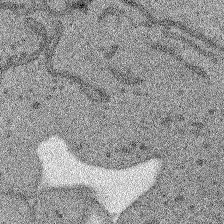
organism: Human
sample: HeLa cells